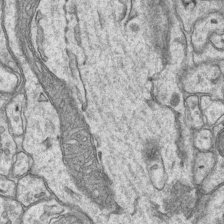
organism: Mouse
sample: CA1 Hippocampus